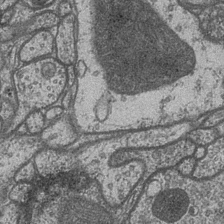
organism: Drosophila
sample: Optic medulla